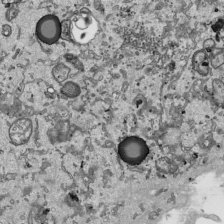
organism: Human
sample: Mitochondria in HCT116 cells